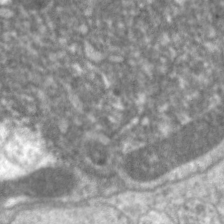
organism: C. elegans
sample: Pharynx